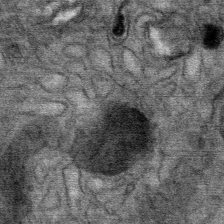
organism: Mouse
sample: Mouse Salivary gland